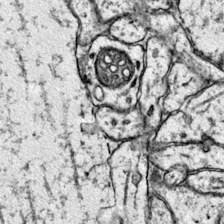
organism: Mouse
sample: Primary visual cortex